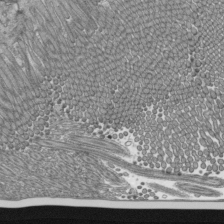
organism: Mouse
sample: Mouse epididymis efferent ductule cilia